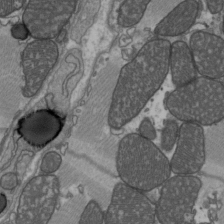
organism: C57BL Mouse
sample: Heart